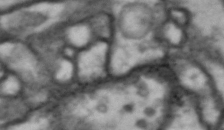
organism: Drosophila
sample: Brain